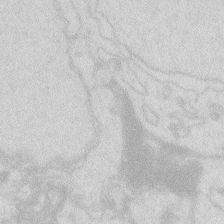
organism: Zebrafish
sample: Macrophage